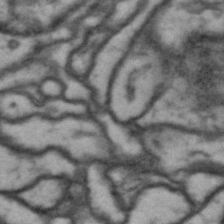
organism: Drosophila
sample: Brain